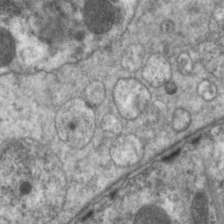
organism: C. elegans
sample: Pharynx